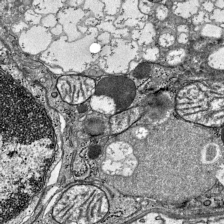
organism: Mouse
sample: Visual Cortex